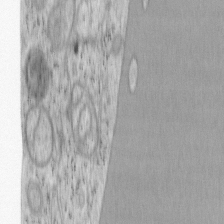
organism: Human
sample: HeLa cells